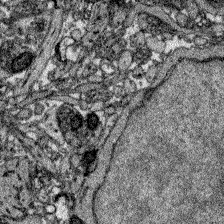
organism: Zebrafish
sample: Larval olfactory bulb